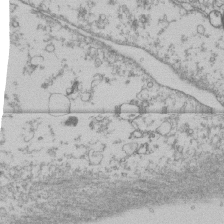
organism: Human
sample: Fibroblast cells